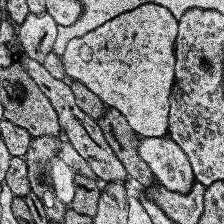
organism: Human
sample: Temporal Lobe